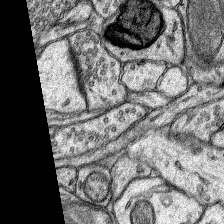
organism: Rat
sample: Hippocampus